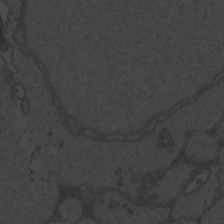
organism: Zebrafish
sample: Macrophage infected with Toxoplasma gondii